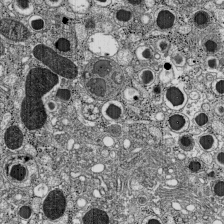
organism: C57BL Mouse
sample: Pancreatic islet